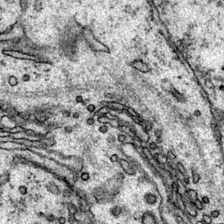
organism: Mouse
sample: Primary visual cortex